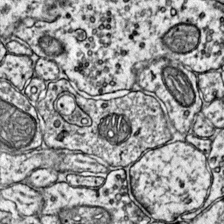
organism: Mouse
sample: Primary visual cortex